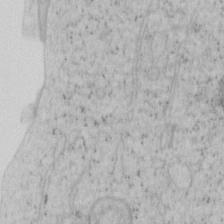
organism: Human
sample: HeLa cells